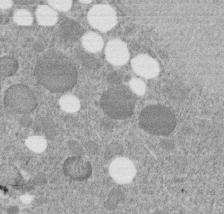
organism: C. elegans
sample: C. elegans embryo early stage